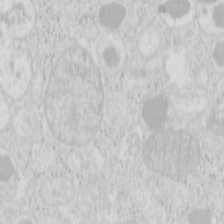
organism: Mouse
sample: Pancreas